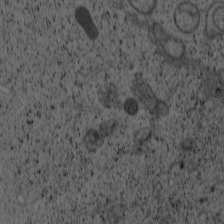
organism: African green monkey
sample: COS-7 cells